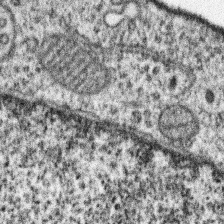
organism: Human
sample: HeLa cells